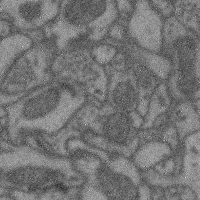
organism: Mouse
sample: Cerebral cortex